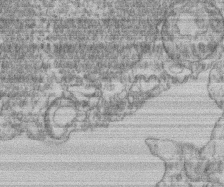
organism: Mouse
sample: T cell stromal cell synapse